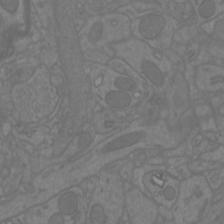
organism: Mouse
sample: Cortical neurons